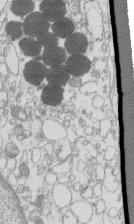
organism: Mouse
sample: Macrophages